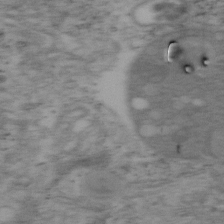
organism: Mouse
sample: OT-I killer T cells with ID8 ovarian cancer cells